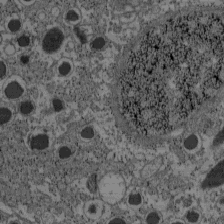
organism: C57BL Mouse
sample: Pancreatic islet